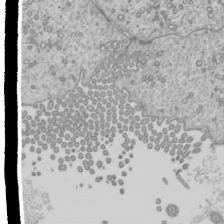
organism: Mouse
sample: Cilia; mouse epididymis